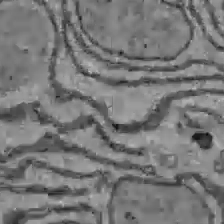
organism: C57BL Mouse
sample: Liver